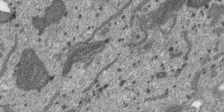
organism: Human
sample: Lung epithelial cells infected with SARS-CoV-2